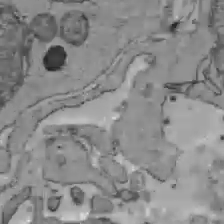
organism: C57BL Mouse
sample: Liver